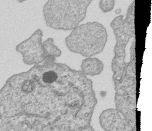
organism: Human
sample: MDA-MB-231 cells